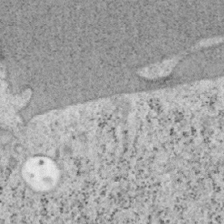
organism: Mouse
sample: OT-I killer T cells with ID8 ovarian cancer cells